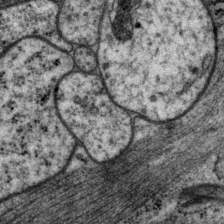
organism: P. pacificus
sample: Pharynx